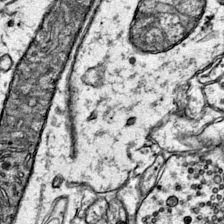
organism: Mouse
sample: Primary visual cortex